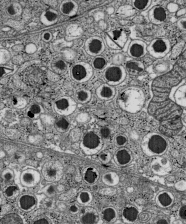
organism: C57BL Mouse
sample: Pancreatic islet